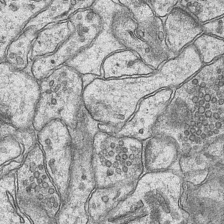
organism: Mouse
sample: CA1 Hippocampus